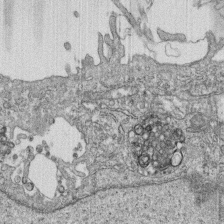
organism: Human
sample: HeLa cell HIV synapse